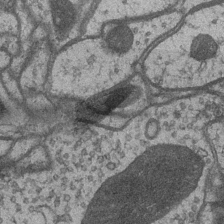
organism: Drosophila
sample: Optic medulla